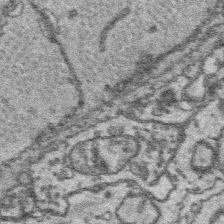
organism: Platynereis dumerilii